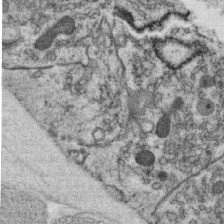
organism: C. elegans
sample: C. elegans oocyte; sperm cells